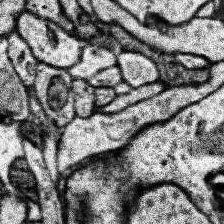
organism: Human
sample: Temporal Lobe